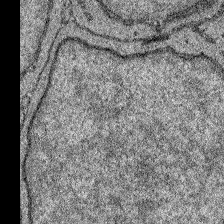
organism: Zebrafish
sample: Larval olfactory bulb